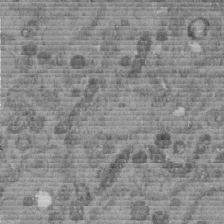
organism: C. elegans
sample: C. elegans embryo early stage